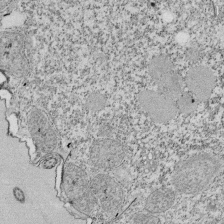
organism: Tetrahymena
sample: Cilia in tetrahymena